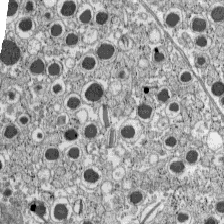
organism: C57BL Mouse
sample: Pancreatic islet